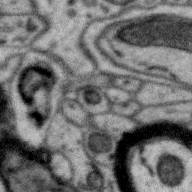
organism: Zebra finch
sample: Brain